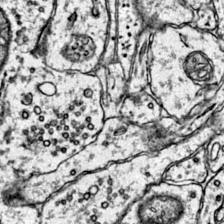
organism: Mouse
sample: Primary visual cortex